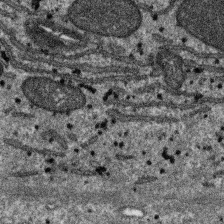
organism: Human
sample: Lung epithelial cells infected with SARS-CoV-2